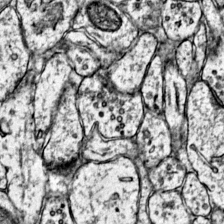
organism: Mouse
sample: Primary visual cortex